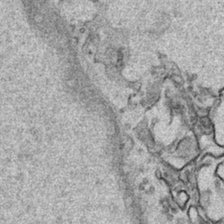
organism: Human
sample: Mitochondria in HCT116 cells